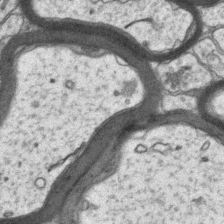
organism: Mouse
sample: CA1 Hippocampus